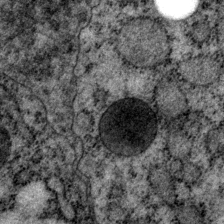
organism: P. pacificus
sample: Pharynx